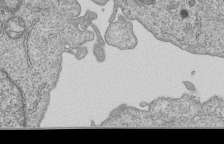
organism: Human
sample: MDA-MB-231 cells